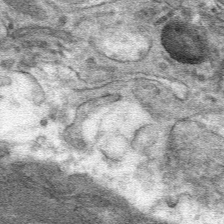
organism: Mouse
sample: Mouse hepatocytes